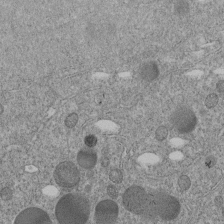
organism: C. elegans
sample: C. elegans embryo early stage